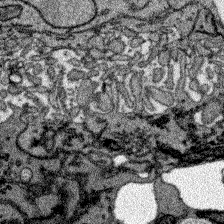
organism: Zebrafish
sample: Larval olfactory bulb